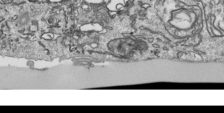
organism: Human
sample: Mitochondria in HCT116 cells